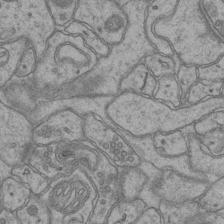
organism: Mouse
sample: CA1 Hippocampus